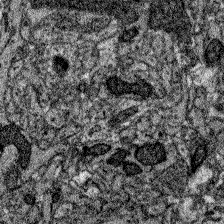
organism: Zebrafish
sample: Larval olfactory bulb